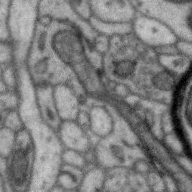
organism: Zebra finch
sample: Brain